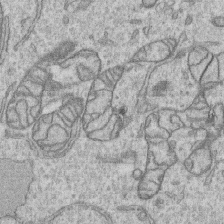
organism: Human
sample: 1205lu cells